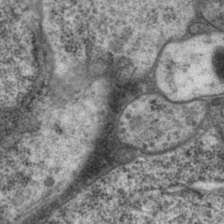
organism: P. pacificus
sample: Pharynx